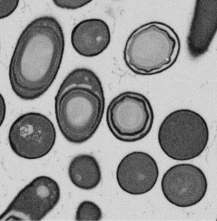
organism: B. subtilis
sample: Bacterial spore